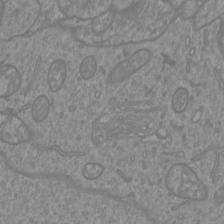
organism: Mouse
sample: Cortical neurons